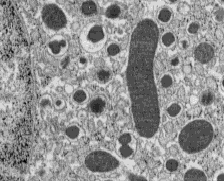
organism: C57BL Mouse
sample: Pancreatic islet